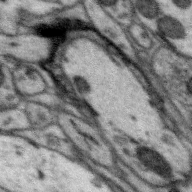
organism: Zebra finch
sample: Brain